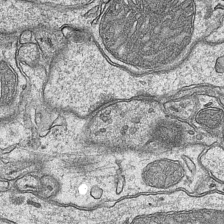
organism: Mouse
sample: CA1 Hippocampus